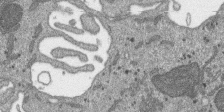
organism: Human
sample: Lung epithelial cells infected with SARS-CoV-2